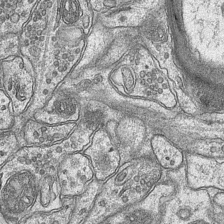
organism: Mouse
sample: CA1 Hippocampus